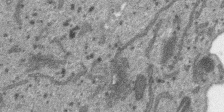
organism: Human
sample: Lung epithelial cells infected with SARS-CoV-2